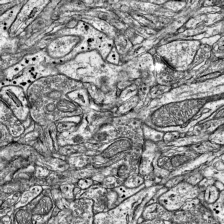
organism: Mouse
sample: Visual Cortex